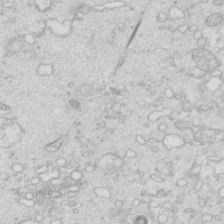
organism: Mouse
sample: Multiciliated cells